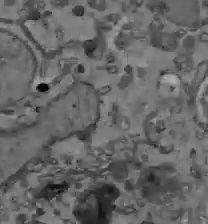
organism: C57BL Mouse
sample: Liver